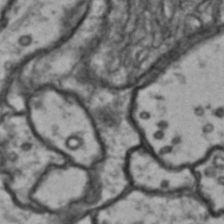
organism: Drosophila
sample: Brain